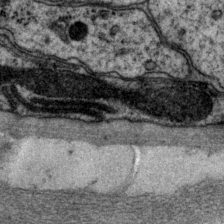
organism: P. pacificus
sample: Pharynx